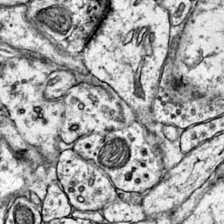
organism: Mouse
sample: Primary visual cortex